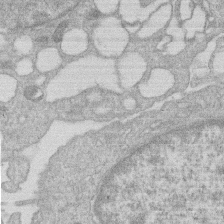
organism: Human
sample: Macrophage cells